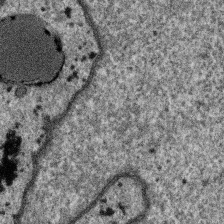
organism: Human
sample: Lung epithelial cells infected with SARS-CoV-2